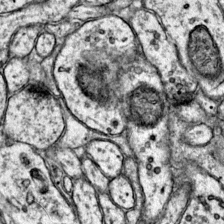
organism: Mouse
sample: Primary visual cortex